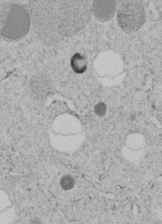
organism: C. elegans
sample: C. elegans embryo early stage